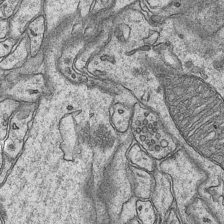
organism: Mouse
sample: CA1 Hippocampus